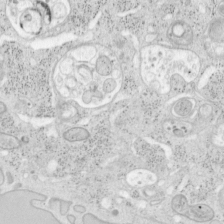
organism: Mouse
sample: OT-I killer T cells with ID8 ovarian cancer cells